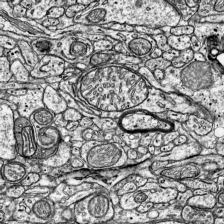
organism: Mouse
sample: Visual Cortex